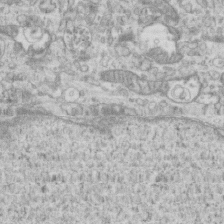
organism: Mouse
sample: Centriole in ependymal cells